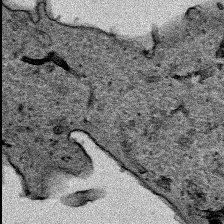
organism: Human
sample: Mitochondria in HCT116 cells